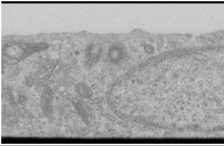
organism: Human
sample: Cilia; basal body in RPE cells